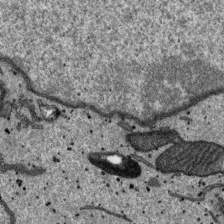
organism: Human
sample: Lung epithelial cells, uninfected (mock) control